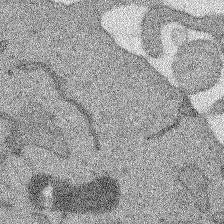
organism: Human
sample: HeLa cells